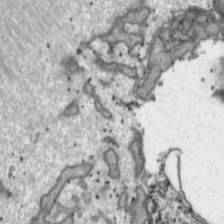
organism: Toxoplasma gondii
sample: Parasites in a vacuole inside a host cell